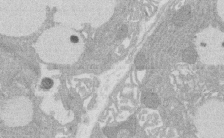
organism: Rat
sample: Salivary granule